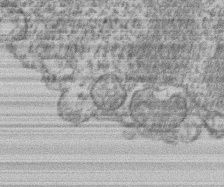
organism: Mouse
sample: T cell stromal cell synapse